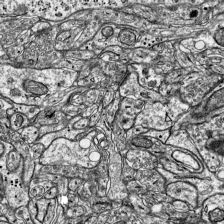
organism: Mouse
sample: Visual Cortex